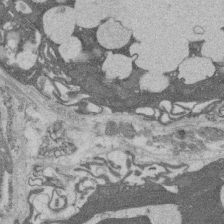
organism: Rat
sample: Salivary granule